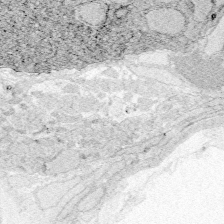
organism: Zebrafish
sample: Whole-Brain